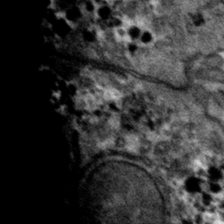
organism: Mouse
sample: Mouse hepatocytes